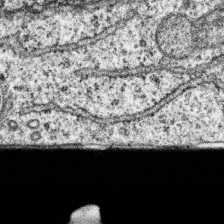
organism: Human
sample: HeLa cells